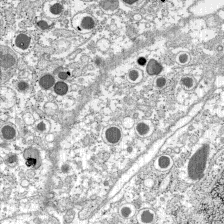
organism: C57BL Mouse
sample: Pancreatic islet